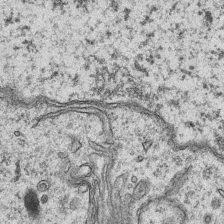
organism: Mouse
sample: CA1 Hippocampus